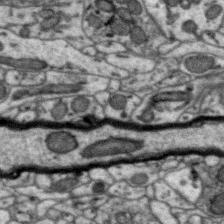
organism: Zebra finch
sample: Brain